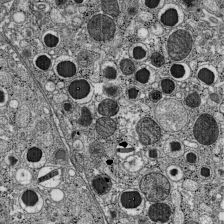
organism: C57BL Mouse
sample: Pancreatic islet